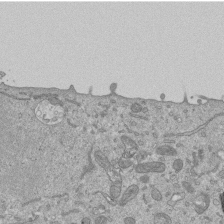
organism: Mouse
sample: ED-1 cell nuclei; centrioles